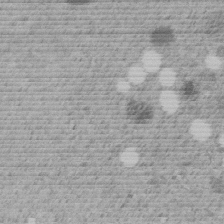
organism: C. elegans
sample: C. elegans embryo early stage